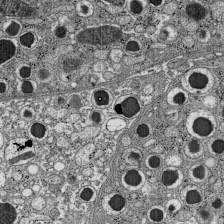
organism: C57BL Mouse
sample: Pancreatic islet